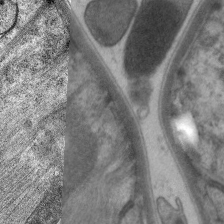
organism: C. elegans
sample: Pharynx